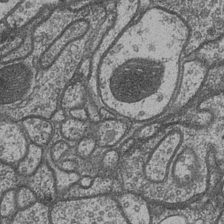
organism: Drosophila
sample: Optic medulla